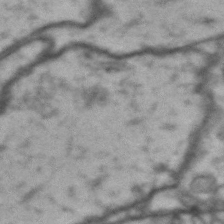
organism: Drosophila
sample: Brain